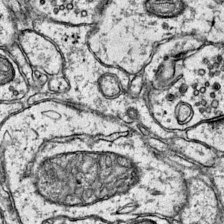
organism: Mouse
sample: Primary visual cortex